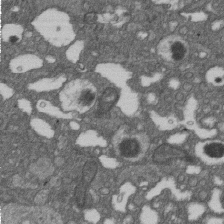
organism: Drosophila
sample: Nephrocyte